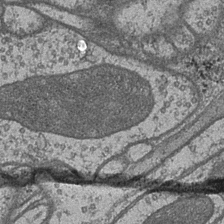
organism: Drosophila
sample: Optic medulla